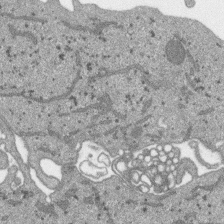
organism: Human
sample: Lung epithelial cells infected with SARS-CoV-2